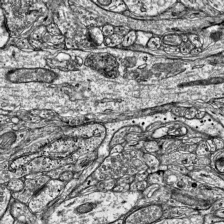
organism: Mouse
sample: Visual Cortex